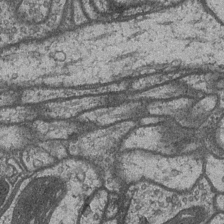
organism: Drosophila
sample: Optic medulla